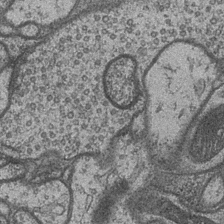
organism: Drosophila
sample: Optic medulla